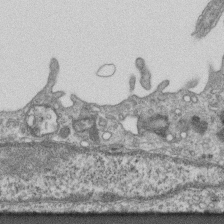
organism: Mouse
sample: Centriole in ependymal cells